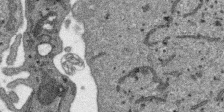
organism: Human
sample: Lung epithelial cells infected with SARS-CoV-2